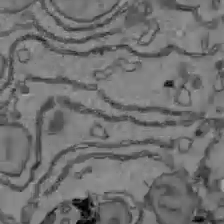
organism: C57BL Mouse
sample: Liver